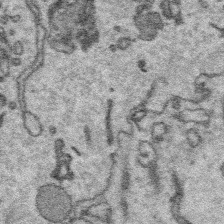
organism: Platynereis dumerilii